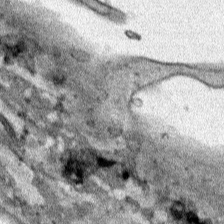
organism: Human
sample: Mitochondria in HCT116 cells